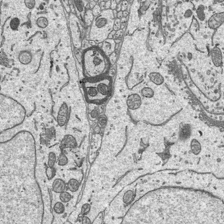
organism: Mouse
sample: Suprachiasmatic nucleus